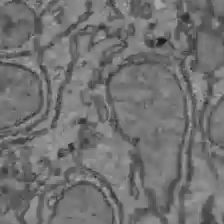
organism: C57BL Mouse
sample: Liver